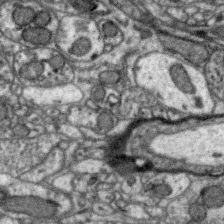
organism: Zebra finch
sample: Brain